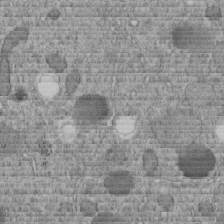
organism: C. elegans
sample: C. elegans embryo early stage